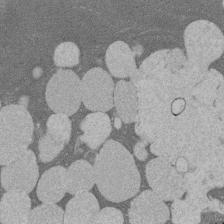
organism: Rat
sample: Salivary granule